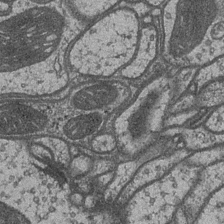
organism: Drosophila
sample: Optic medulla